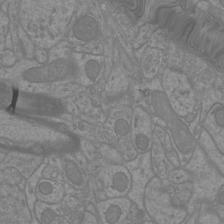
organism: Mouse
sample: Cortical neurons